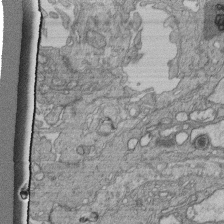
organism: Human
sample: Retinal organoid Rod and Cone cells